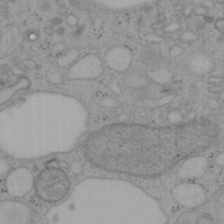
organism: Mouse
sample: OT-I killer T cells with ID8 ovarian cancer cells